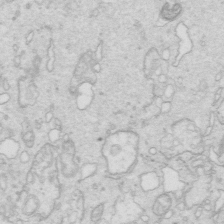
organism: Mouse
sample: Multiciliated cells